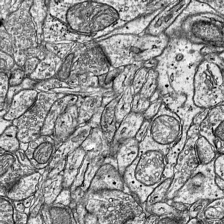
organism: Mouse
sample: Visual Cortex